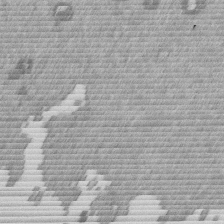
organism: Mouse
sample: Dividing mouse embryo 1 cell stage